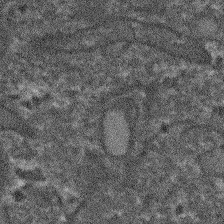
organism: Arabidopsis thaliana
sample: Root tip